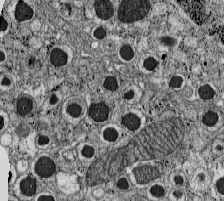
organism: C57BL Mouse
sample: Pancreatic islet